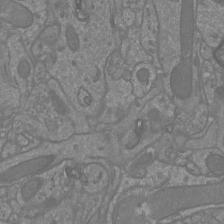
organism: Mouse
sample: Cortical neurons